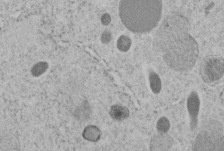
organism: C. elegans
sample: C. elegans embryo early stage